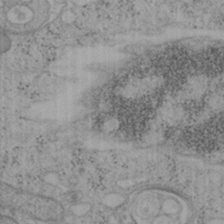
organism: Mouse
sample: OT-I killer T cells with ID8 ovarian cancer cells